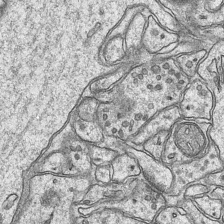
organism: Mouse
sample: CA1 Hippocampus